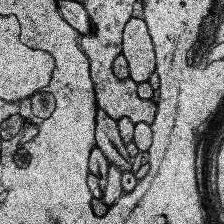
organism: Human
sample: Temporal Lobe